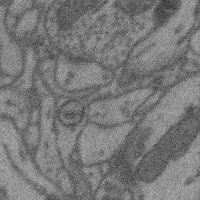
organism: Mouse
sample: Cerebral cortex